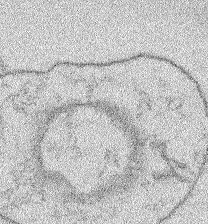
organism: Human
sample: HeLa cells